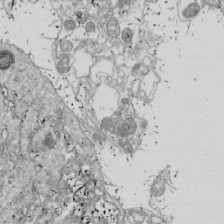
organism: Drosophila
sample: Cell division; meiosis; drosophila spermatocytes